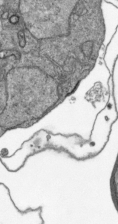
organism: Plasmodium falciparum